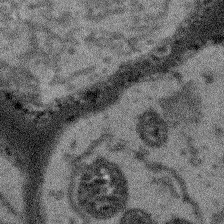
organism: Arabidopsis thaliana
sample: Root tip